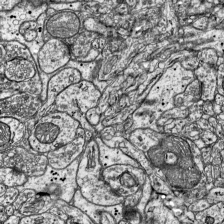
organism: Mouse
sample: Visual Cortex